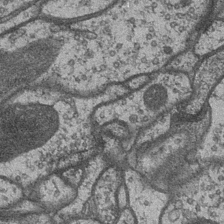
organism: Drosophila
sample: Optic medulla